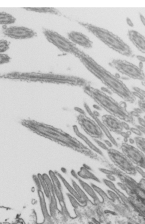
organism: Mouse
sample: Mouse epididymis efferent ductule cilia